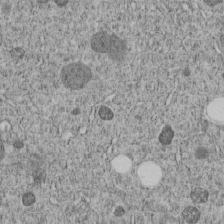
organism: C. elegans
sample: C. elegans embryo early stage